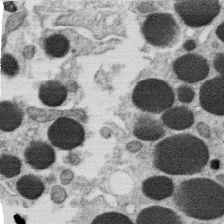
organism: C. elegans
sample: C. elegans oocyte; sperm cells